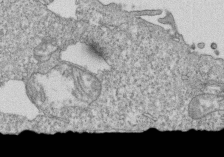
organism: Human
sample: HeLa cell HIV synapse